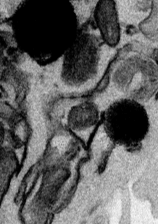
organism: Mouse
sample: Cancer cell death in ED-1 cells